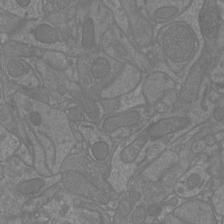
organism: Mouse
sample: Cortical neurons